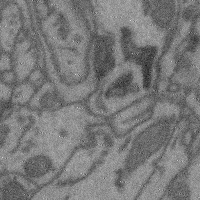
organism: Mouse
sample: Cerebral cortex